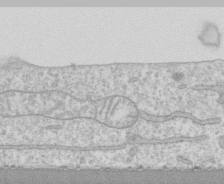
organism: Human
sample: CRL-1474